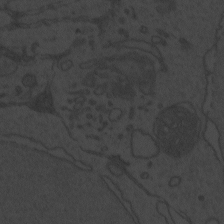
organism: Zebrafish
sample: Macrophage infected with Toxoplasma gondii